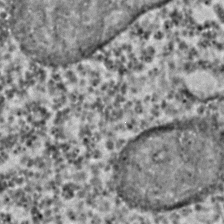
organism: C. elegans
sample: C. elegans embryo